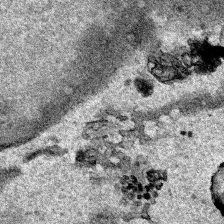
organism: Human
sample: Mitochondria in HCT116 cells